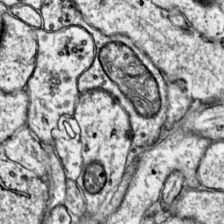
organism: Mouse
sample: Primary visual cortex